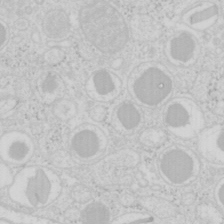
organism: Mouse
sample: Pancreas